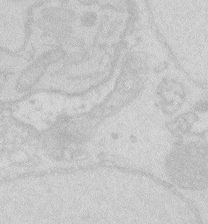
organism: Zebrafish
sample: Macrophage